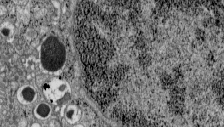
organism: C57BL Mouse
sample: Pancreatic islet